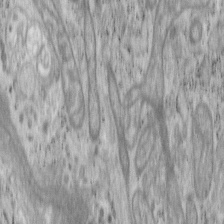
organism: Human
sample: HeLa cells